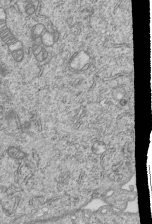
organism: Human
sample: MDA-MB-231 cells